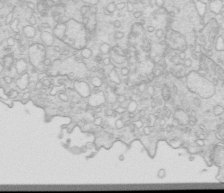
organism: Mouse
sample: Multiciliated cells